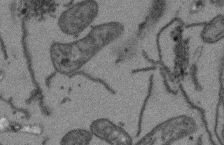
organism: Arabidopsis thaliana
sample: Root tip